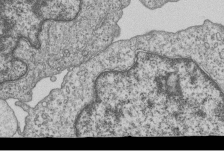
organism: Human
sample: MDA-MB-231 cells